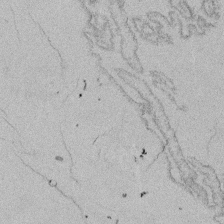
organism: Tetrahymena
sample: Cilia in tetrahymena